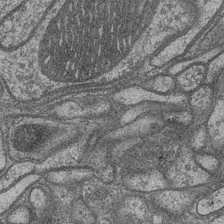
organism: Drosophila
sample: Optic medulla